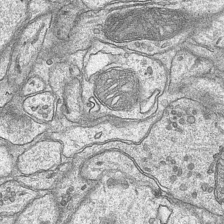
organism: Mouse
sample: CA1 Hippocampus